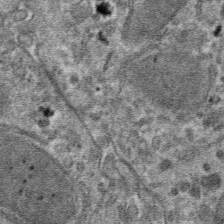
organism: Mouse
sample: Mouse hepatocytes